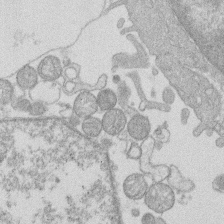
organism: Human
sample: Macrophage cells